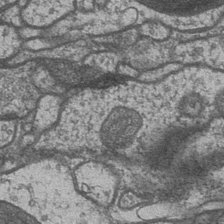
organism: Drosophila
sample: Optic medulla